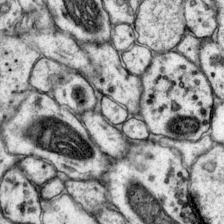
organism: Mouse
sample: Primary visual cortex